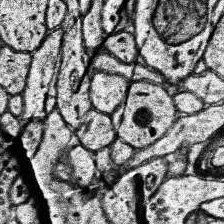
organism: Human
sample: Temporal Lobe